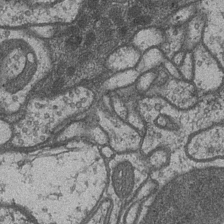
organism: Drosophila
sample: Optic medulla